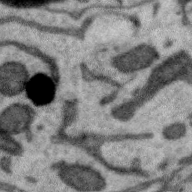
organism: Zebra finch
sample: Brain